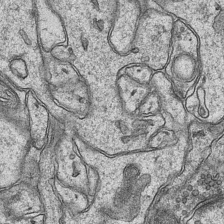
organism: Mouse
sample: CA1 Hippocampus